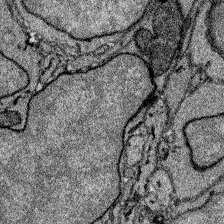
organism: Zebrafish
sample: Larval olfactory bulb